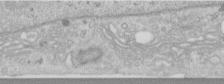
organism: Human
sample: Centriole in RPE cells